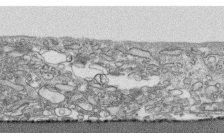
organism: Human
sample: CRL-1474